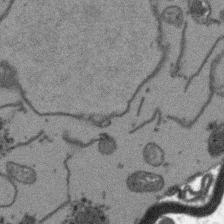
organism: Arabidopsis thaliana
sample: Root tip